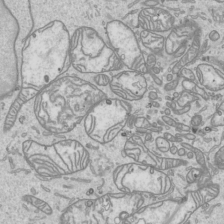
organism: Human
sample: Mitochondria in HCT116 cells